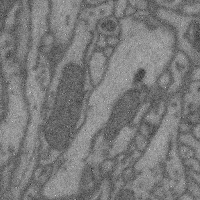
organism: Mouse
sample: Cerebral cortex